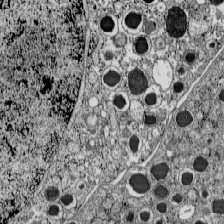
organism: C57BL Mouse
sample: Pancreatic islet